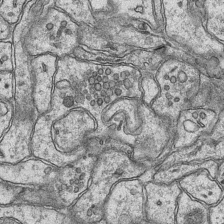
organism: Mouse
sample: CA1 Hippocampus